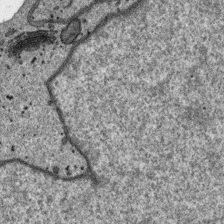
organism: Human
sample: Lung epithelial cells, uninfected (mock) control